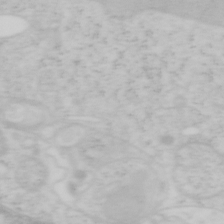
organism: Mouse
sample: OT-I killer T cells with ID8 ovarian cancer cells